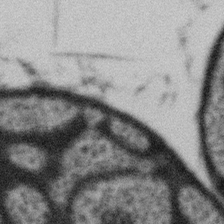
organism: Gemmata obscuriglobus